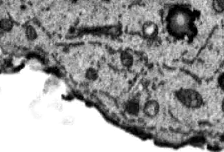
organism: Human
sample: HeLa cells